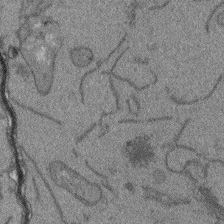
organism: Arabidopsis thaliana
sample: Root tip